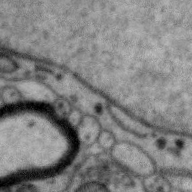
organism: Zebra finch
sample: Brain